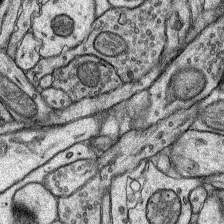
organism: Rat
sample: Hippocampus